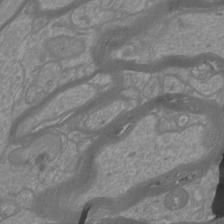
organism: Mouse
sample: Cortical neurons